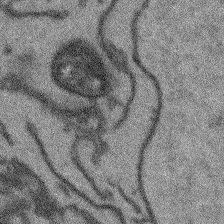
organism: Arabidopsis thaliana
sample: Root tip